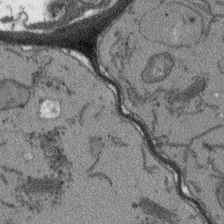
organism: Arabidopsis thaliana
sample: Root tip